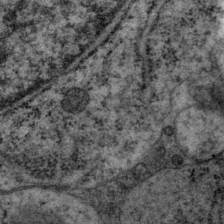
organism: P. pacificus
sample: Pharynx